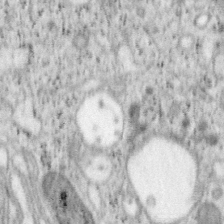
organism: Mouse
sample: OT-I killer T cells with ID8 ovarian cancer cells